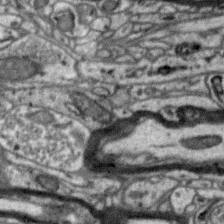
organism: Zebra finch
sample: Brain